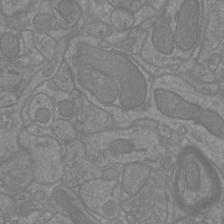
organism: Mouse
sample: Cortical neurons